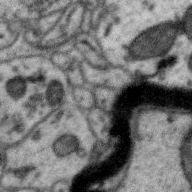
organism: Zebra finch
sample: Brain